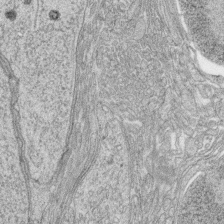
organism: Zebrafish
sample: synaptic ribbons in rod cells and cone cells